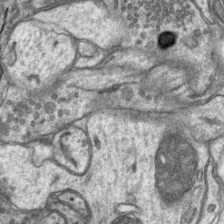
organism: Mouse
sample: CA1 Hippocampus